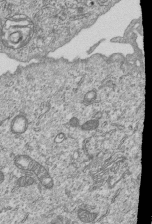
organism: Human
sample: MDA-MB-231 cells